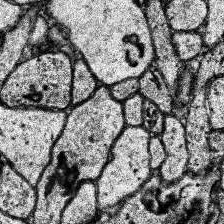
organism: Human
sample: Temporal Lobe